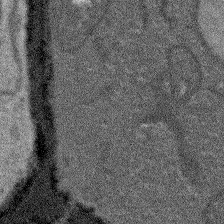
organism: Arabidopsis thaliana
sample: Root tip